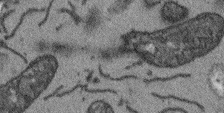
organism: Arabidopsis thaliana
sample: Root tip